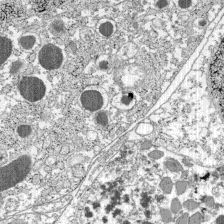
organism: C57BL Mouse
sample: Pancreatic islet